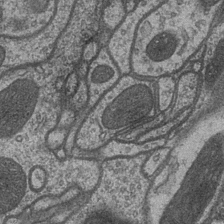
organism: Drosophila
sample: Optic medulla